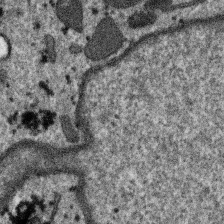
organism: Human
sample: Lung epithelial cells infected with SARS-CoV-2